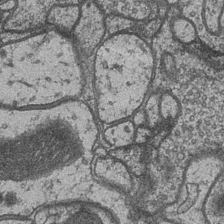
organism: Drosophila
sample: Optic medulla